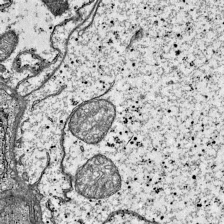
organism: Mouse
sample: Visual Cortex